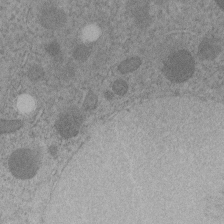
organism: C. elegans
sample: C. elegans embryo early stage